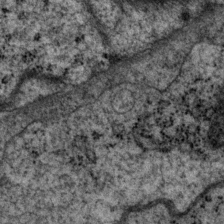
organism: P. pacificus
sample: Pharynx